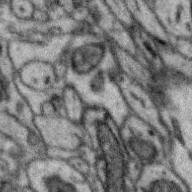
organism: Zebra finch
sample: Brain